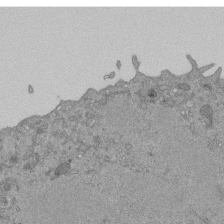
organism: Mouse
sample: ED-1 cell nuclei; centrioles